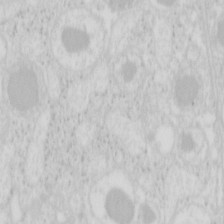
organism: Mouse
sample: Pancreas